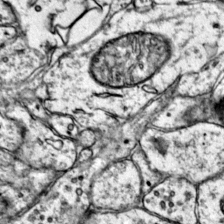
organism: Mouse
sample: Primary visual cortex